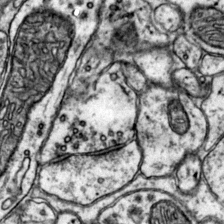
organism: Mouse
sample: Primary visual cortex